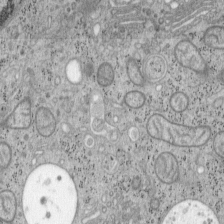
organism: Mouse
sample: OT-I killer T cells with ID8 ovarian cancer cells